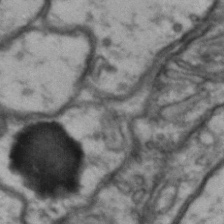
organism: Drosophila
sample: Brain